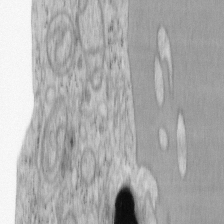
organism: Human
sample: HeLa cells